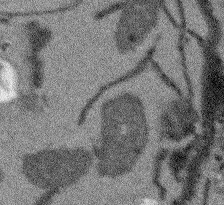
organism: Arabidopsis thaliana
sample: Root tip